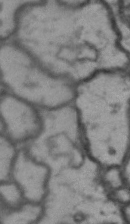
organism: Drosophila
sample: Brain